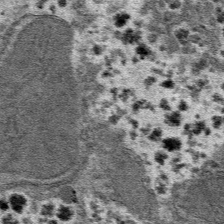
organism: Mouse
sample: Mouse hepatocytes